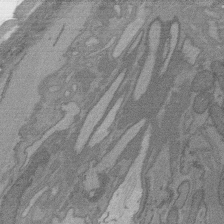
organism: C. elegans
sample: AFD neurons C. elegans